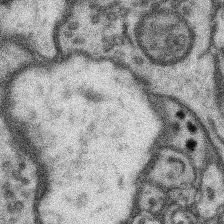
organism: Mouse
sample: Somatosensory cortex neuropil